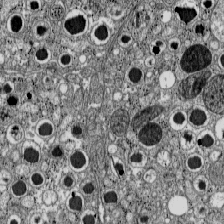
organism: C57BL Mouse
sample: Pancreatic islet